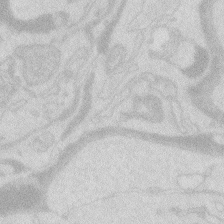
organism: Zebrafish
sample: Macrophage